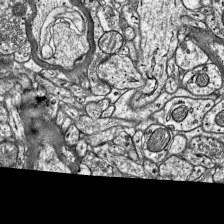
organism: Mouse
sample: Visual Cortex